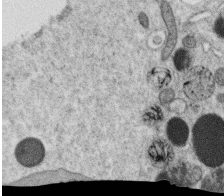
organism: C. elegans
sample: C. elegans oocyte; sperm cells